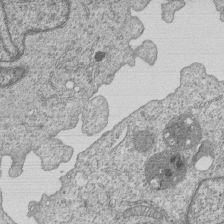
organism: Human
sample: MDA-MB-231 cells